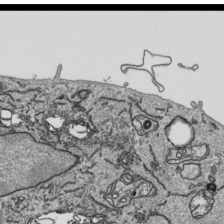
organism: Human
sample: Mitochondria in HCT116 cells